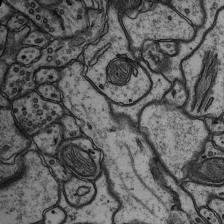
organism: Rat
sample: Hippocampus